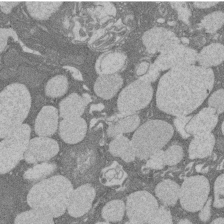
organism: Rat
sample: Salivary granule